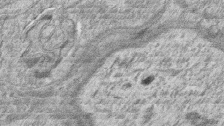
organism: Zebrafish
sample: synaptic ribbons in rod cells and cone cells